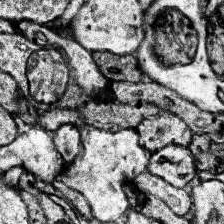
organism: Human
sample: Temporal Lobe